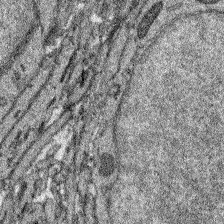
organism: Zebrafish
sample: Larval olfactory bulb